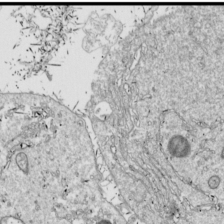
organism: Drosophila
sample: Cell division; meiosis; drosophila spermatocytes